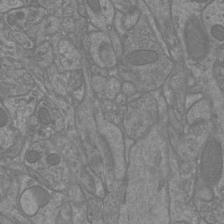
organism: Mouse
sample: Cortical neurons